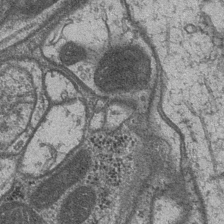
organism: Drosophila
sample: Optic medulla